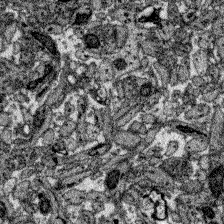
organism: Zebrafish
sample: Larval olfactory bulb